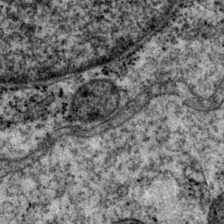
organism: P. pacificus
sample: Pharynx